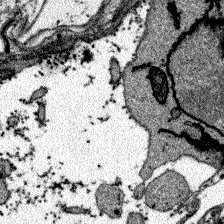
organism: Zebrafish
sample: Larval olfactory bulb